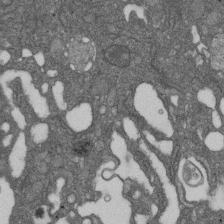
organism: Drosophila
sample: Nephrocyte